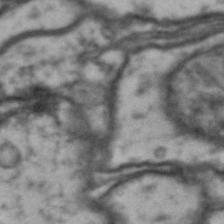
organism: Drosophila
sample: Brain